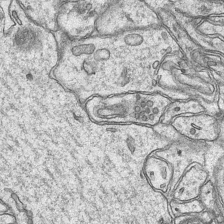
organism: Mouse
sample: CA1 Hippocampus